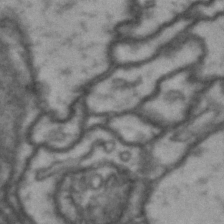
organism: Drosophila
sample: Brain